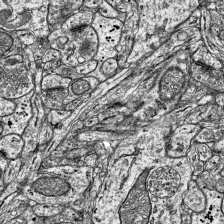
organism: Mouse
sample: Visual Cortex